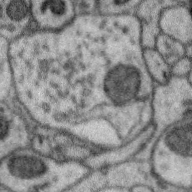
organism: Zebra finch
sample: Brain